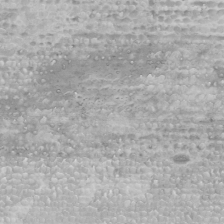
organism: Human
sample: Mitochondria in U2OS cells